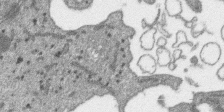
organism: Human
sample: Lung epithelial cells infected with SARS-CoV-2